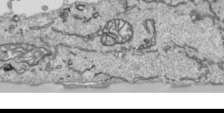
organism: Human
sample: Mitochondria in HCT116 cells